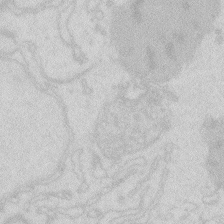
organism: Zebrafish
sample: Macrophage